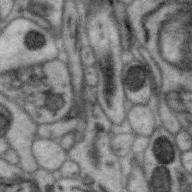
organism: Zebra finch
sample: Brain